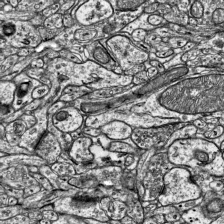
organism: Mouse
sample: Visual Cortex